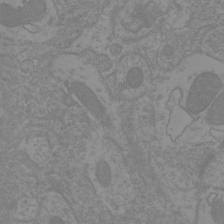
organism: Mouse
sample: Cortical neurons